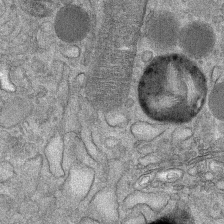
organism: Mouse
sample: Mouse Salivary gland